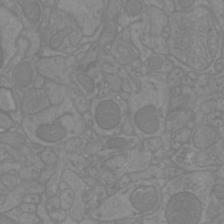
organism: Mouse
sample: Cortical neurons